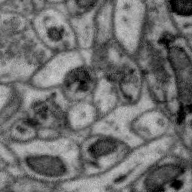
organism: Zebra finch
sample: Brain